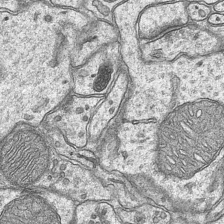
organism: Mouse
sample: CA1 Hippocampus